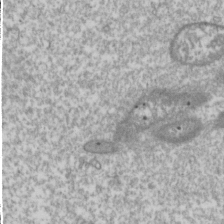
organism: Drosophila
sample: Cell division; meiosis; drosophila spermatocytes